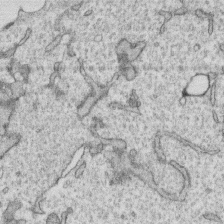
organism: Human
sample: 1205lu cells